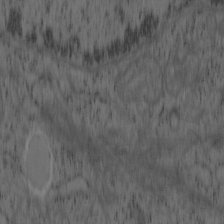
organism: Human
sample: HeLa cells